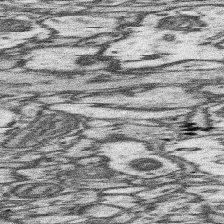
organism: Mouse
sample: Somatosensory cortex neuropil